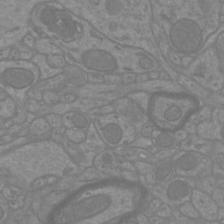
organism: Mouse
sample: Cortical neurons